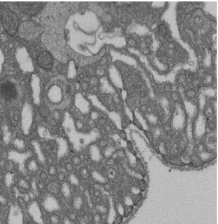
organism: Drosophila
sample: Nephrocyte